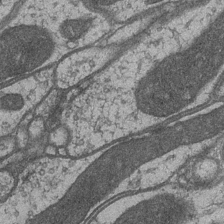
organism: Drosophila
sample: Optic medulla